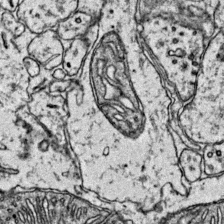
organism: Mouse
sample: Primary visual cortex